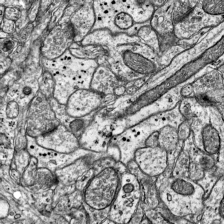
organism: Mouse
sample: Visual Cortex